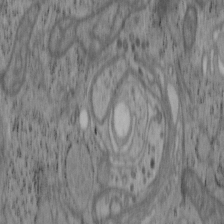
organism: Human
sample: HeLa cells